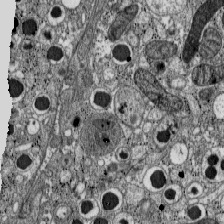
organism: C57BL Mouse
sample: Pancreatic islet